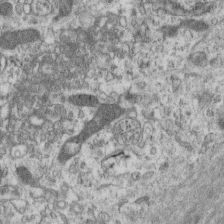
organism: Mouse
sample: Centriole in ependymal cells